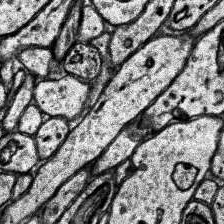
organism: Human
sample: Temporal Lobe